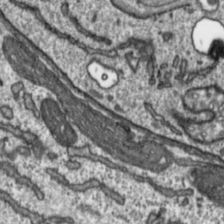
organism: Toxoplasma gondii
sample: Parasites in a vacuole inside a host cell